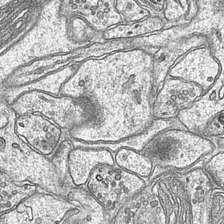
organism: Mouse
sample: CA1 Hippocampus